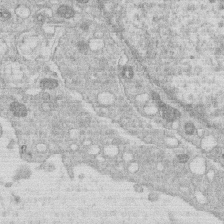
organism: Human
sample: Macrophage cells